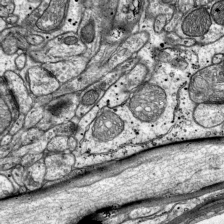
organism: Mouse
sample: Visual Cortex